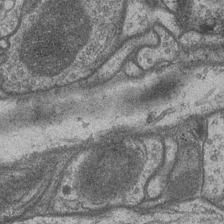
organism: Drosophila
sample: Optic medulla